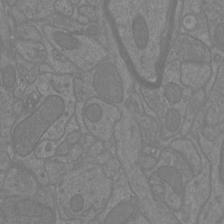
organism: Mouse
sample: Cortical neurons